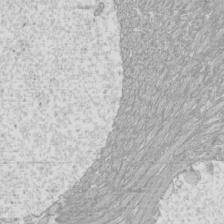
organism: Mouse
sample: Cilia; mouse epididymis